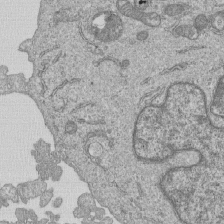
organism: Human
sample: MDA-MB-231 cells